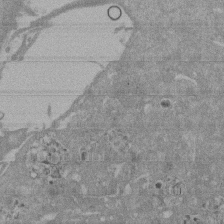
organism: Mouse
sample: ED-1 cell nuclei; centrioles